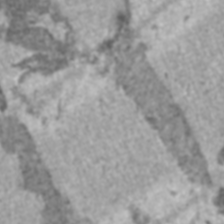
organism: C57BL Mouse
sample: Heart